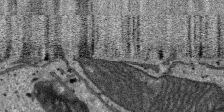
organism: Human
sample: Lung epithelial cells, uninfected (mock) control